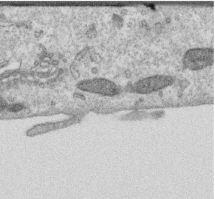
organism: Human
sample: Centriole in RPE cells